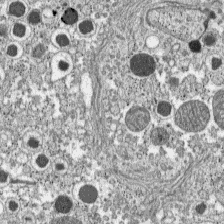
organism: C57BL Mouse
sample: Pancreatic islet